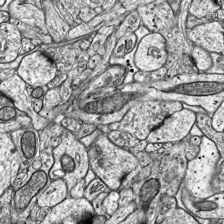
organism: Mouse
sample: Visual Cortex